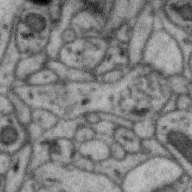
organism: Zebra finch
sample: Brain